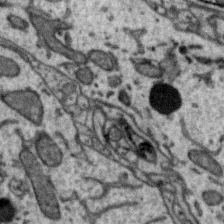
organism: Zebra finch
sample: Brain